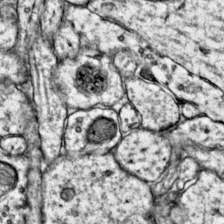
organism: Mouse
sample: Primary visual cortex